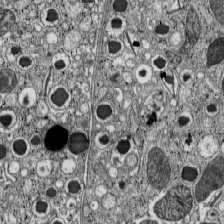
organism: C57BL Mouse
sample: Pancreatic islet